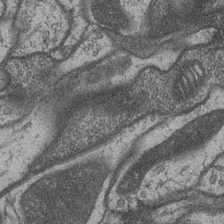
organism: Drosophila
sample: Optic medulla